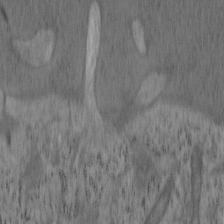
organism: Human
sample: HeLa cells